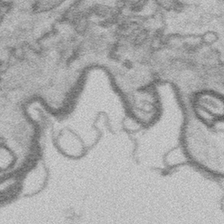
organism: Platynereis dumerilii